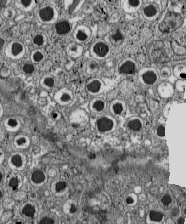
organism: C57BL Mouse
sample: Pancreatic islet